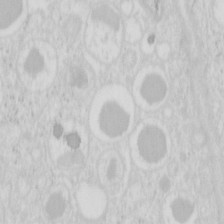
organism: Mouse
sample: Pancreas